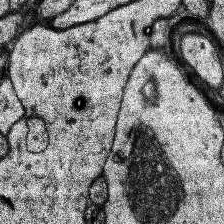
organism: Human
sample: Temporal Lobe